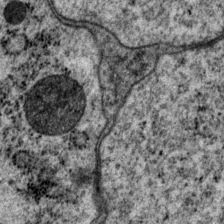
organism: P. pacificus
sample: Pharynx